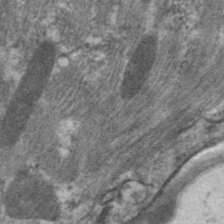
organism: C. elegans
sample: Pharynx